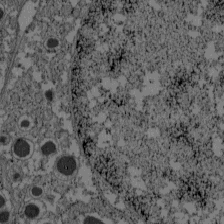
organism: C57BL Mouse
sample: Pancreatic islet